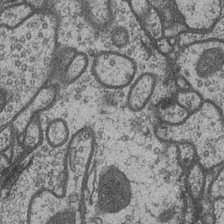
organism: Drosophila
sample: Optic medulla